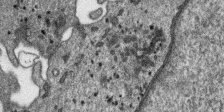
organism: Human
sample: Lung epithelial cells infected with SARS-CoV-2